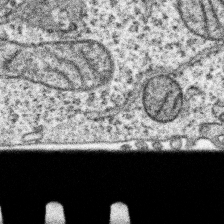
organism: Human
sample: HeLa cells